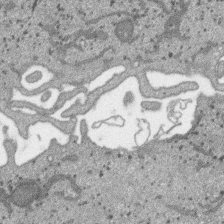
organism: Human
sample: Lung epithelial cells infected with SARS-CoV-2